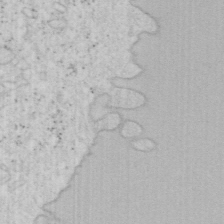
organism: Human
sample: HeLa cells